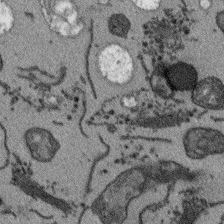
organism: Arabidopsis thaliana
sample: Root tip